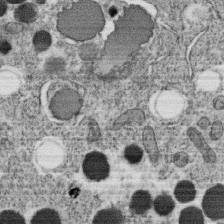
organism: C. elegans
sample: C. elegans oocyte; sperm cells